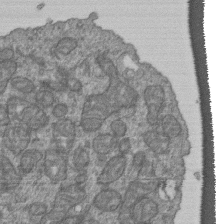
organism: Human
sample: Retinal organoid Rod and Cone cells